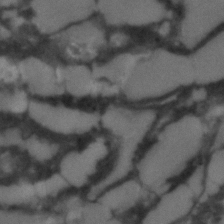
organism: C. elegans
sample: C. elegans embryo